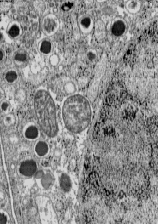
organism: C57BL Mouse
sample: Pancreatic islet